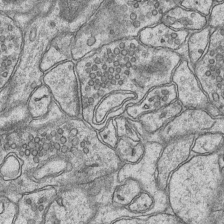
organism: Mouse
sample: CA1 Hippocampus